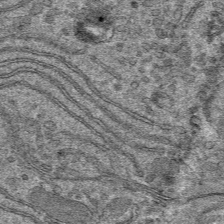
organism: Mouse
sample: Mouse hepatocytes